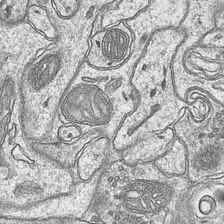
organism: Mouse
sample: CA1 Hippocampus